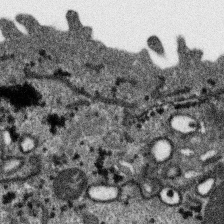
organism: Human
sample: Lung epithelial cells infected with SARS-CoV-2